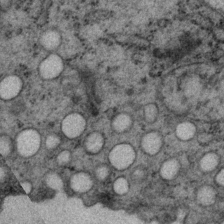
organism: P. pacificus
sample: Pharynx